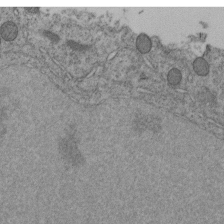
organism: C. elegans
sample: C. elegans embryo early stage